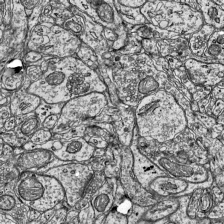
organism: Mouse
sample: Visual Cortex